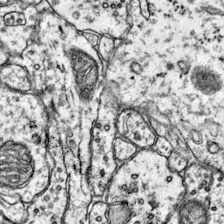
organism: Mouse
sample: Primary visual cortex